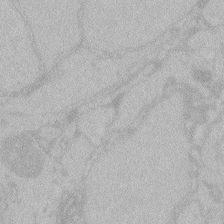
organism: Zebrafish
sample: Macrophage infected with Toxoplasma gondii